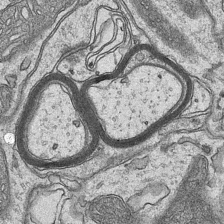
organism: Mouse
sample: CA1 Hippocampus